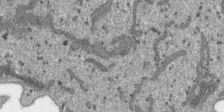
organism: Human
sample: Lung epithelial cells infected with SARS-CoV-2